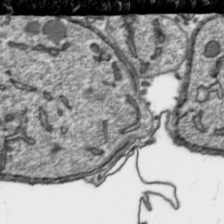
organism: Toxoplasma gondii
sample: Parasites in a vacuole inside a host cell